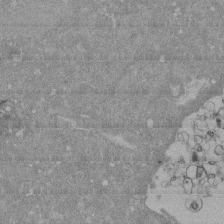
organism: Mouse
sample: ED-1 cell nuclei; centrioles